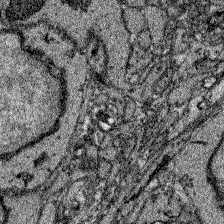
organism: Zebrafish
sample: Larval olfactory bulb